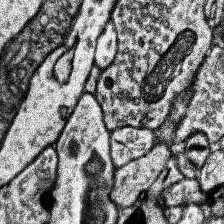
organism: Human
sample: Temporal Lobe